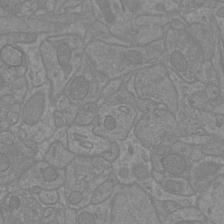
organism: Mouse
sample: Cortical neurons